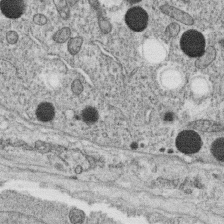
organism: C. elegans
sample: C. elegans oocyte; sperm cells